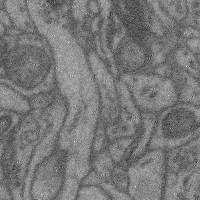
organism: Mouse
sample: Cerebral cortex